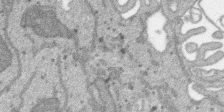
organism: Human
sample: Lung epithelial cells infected with SARS-CoV-2